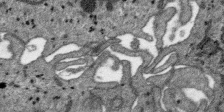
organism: Human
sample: Lung epithelial cells, uninfected (mock) control